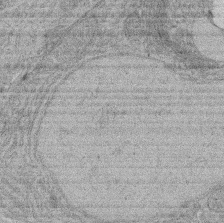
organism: Rat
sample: Salivary granule